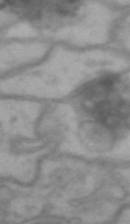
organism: Drosophila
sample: Brain